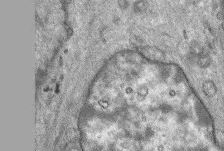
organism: Mouse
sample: Corneal nerves